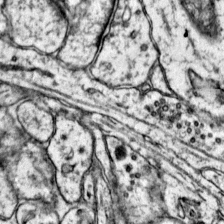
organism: Mouse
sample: Primary visual cortex